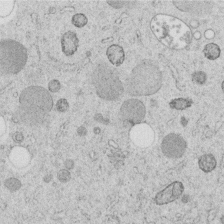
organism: C. elegans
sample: C. elegans embryo early stage